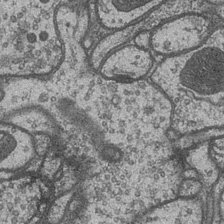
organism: Drosophila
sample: Optic medulla